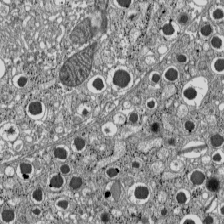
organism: C57BL Mouse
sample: Pancreatic islet